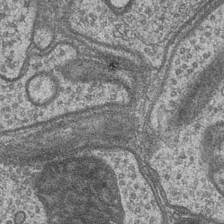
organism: Drosophila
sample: Optic medulla